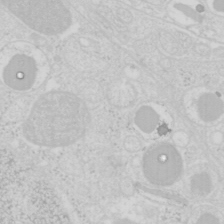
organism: Mouse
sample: Pancreas